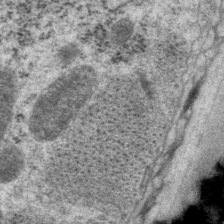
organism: P. pacificus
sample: Pharynx